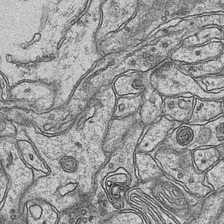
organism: Mouse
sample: CA1 Hippocampus